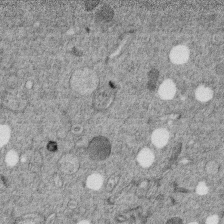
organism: C. elegans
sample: C. elegans embryo early stage